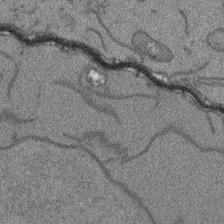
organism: Arabidopsis thaliana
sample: Root tip